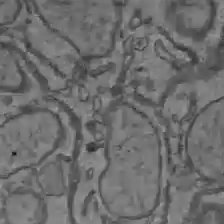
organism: C57BL Mouse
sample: Liver